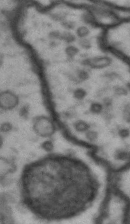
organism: Drosophila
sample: Brain